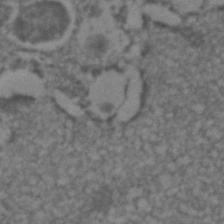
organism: C. elegans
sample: C. elegans embryo